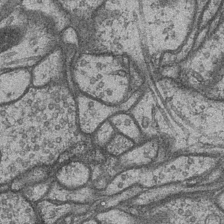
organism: Drosophila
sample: Optic medulla